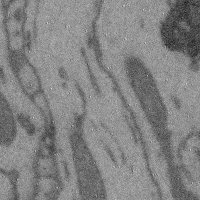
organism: Mouse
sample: Cerebral cortex